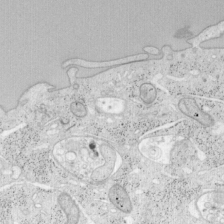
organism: Mouse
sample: OT-I killer T cells with ID8 ovarian cancer cells